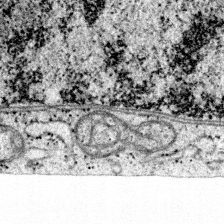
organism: Human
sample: HeLa cells